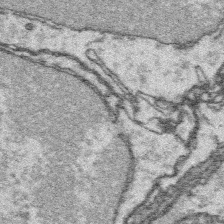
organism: Platynereis dumerilii